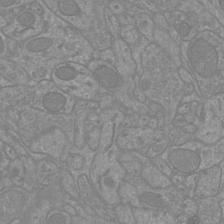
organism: Mouse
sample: Cortical neurons